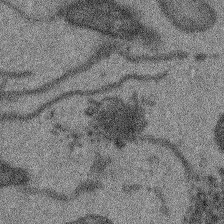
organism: Arabidopsis thaliana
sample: Root tip